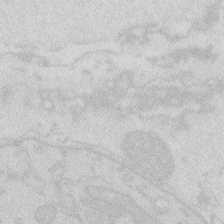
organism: Zebrafish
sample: Macrophage